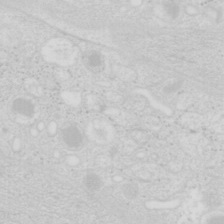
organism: Mouse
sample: Pancreas